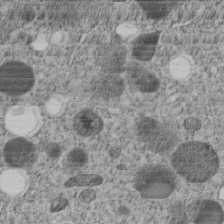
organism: C. elegans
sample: C. elegans embryo early stage